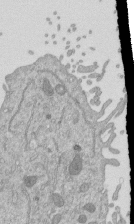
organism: Mouse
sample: ED-1 cell nuclei; centrioles